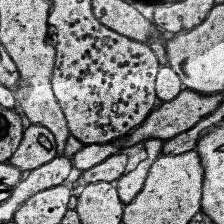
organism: Human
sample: Temporal Lobe